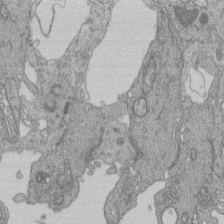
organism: Human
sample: Retinal organoid Rod and Cone cells